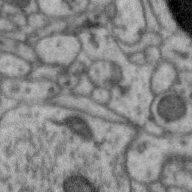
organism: Zebra finch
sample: Brain